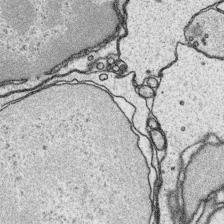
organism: Platynereis dumerilii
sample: Parapodia